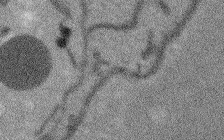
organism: Arabidopsis thaliana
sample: Root tip